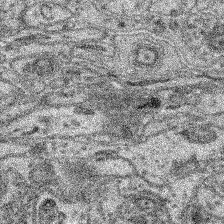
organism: Mouse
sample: Retina